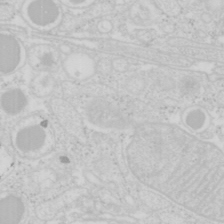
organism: Mouse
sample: Pancreas